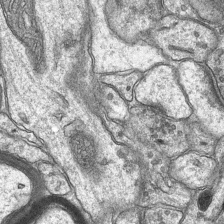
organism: Mouse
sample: CA1 Hippocampus